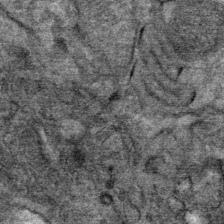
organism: Mouse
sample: Mouse Salivary gland